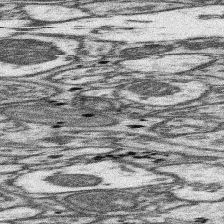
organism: Mouse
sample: Somatosensory cortex neuropil